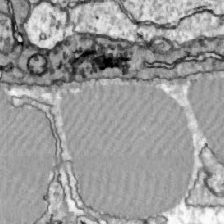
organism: Zebrafish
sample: Actinotrichia fibers